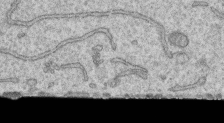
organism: Human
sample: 1205lu cells